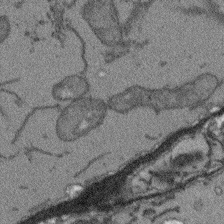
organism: Arabidopsis thaliana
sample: Root tip